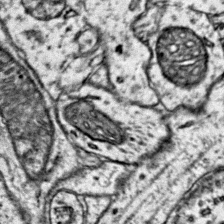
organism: Mouse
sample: Primary visual cortex